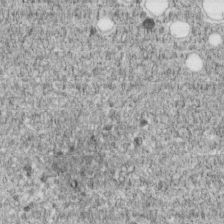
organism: C. elegans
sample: C. elegans embryo early stage